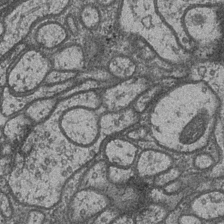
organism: Drosophila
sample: Optic medulla